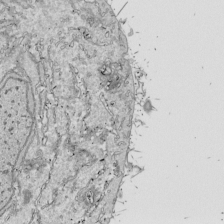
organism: Drosophila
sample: Cell division; meiosis; drosophila spermatocytes